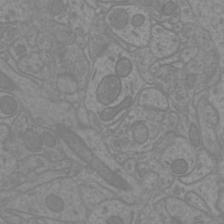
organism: Mouse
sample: Cortical neurons